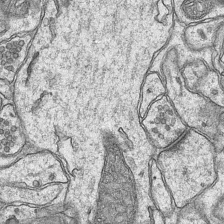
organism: Mouse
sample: CA1 Hippocampus